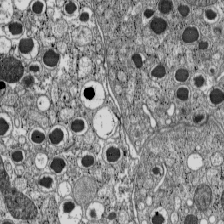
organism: C57BL Mouse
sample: Pancreatic islet